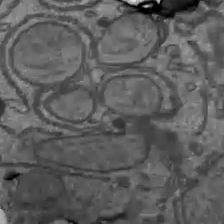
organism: C57BL Mouse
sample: Liver